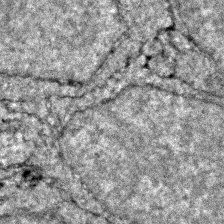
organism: Zebrafish